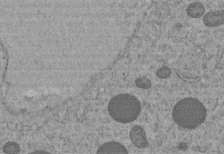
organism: C. elegans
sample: C. elegans embryo early stage